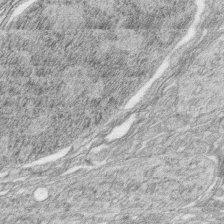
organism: Zebrafish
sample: synaptic ribbons in rod cells and cone cells